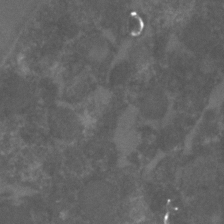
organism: C. elegans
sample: C. elegans embryo